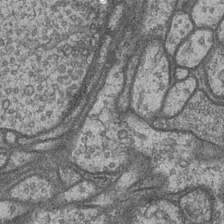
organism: Drosophila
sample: Optic medulla